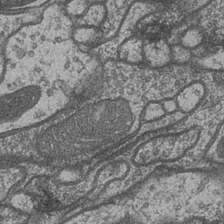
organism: Drosophila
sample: Optic medulla